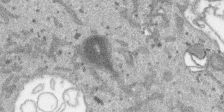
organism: Human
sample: Lung epithelial cells infected with SARS-CoV-2